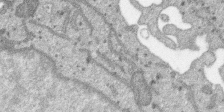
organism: Human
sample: Lung epithelial cells infected with SARS-CoV-2